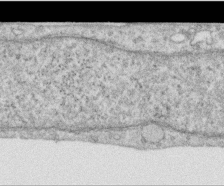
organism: Human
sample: Centriole in RPE cells